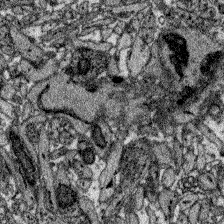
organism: Zebrafish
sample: Larval olfactory bulb